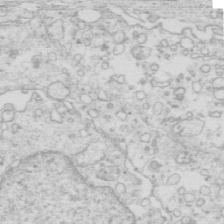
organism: Mouse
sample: Multiciliated cells